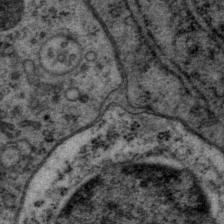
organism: P. pacificus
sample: Pharynx